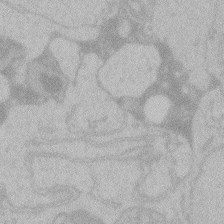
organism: Zebrafish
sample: Macrophage infected with Toxoplasma gondii